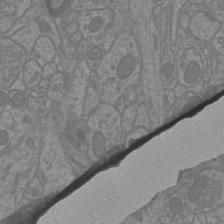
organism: Mouse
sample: Cortical neurons